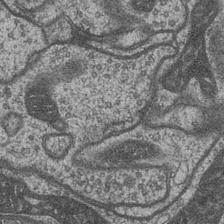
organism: Drosophila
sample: Optic medulla